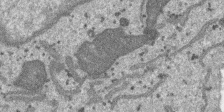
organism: Human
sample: Lung epithelial cells infected with SARS-CoV-2